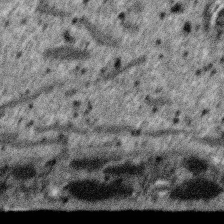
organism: Human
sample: Lung epithelial cells infected with SARS-CoV-2